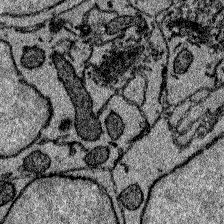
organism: Zebrafish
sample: Larval olfactory bulb